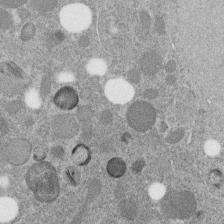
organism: C. elegans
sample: C. elegans embryo early stage